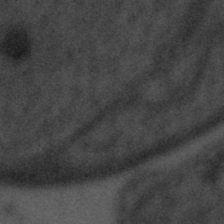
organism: Tuwongella immobilis